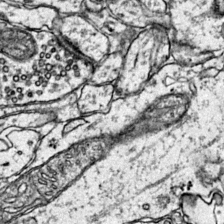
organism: Mouse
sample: Primary visual cortex